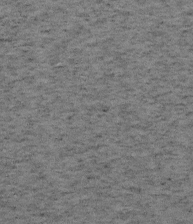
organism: Mouse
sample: OT-I killer T cells with ID8 ovarian cancer cells